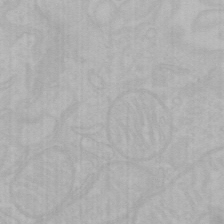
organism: Mouse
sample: Choroid plexus